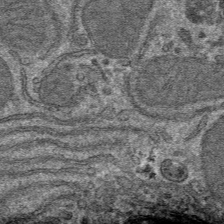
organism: Mouse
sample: Mouse hepatocytes